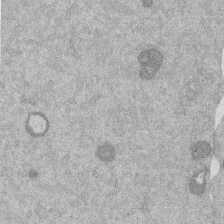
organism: Mouse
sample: Dividing mouse embryo 1 cell stage